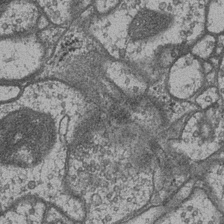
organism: Drosophila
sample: Optic medulla